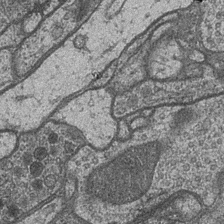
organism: Drosophila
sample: Optic medulla